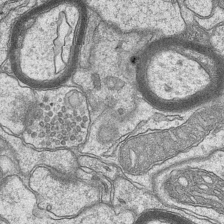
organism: Mouse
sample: CA1 Hippocampus